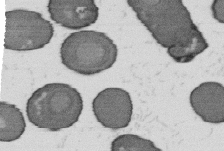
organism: B. subtilis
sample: Bacterial spore